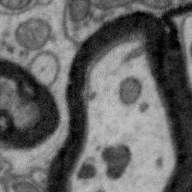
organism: Zebra finch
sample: Brain